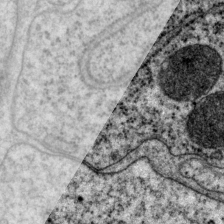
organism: P. pacificus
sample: Pharynx